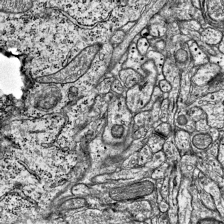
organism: Mouse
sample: Visual Cortex